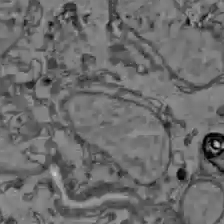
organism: C57BL Mouse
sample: Liver